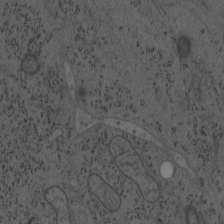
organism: Mouse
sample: OT-I killer T cells with ID8 ovarian cancer cells